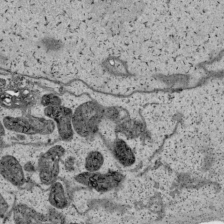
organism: Human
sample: Mitochondria in HCT116 cells